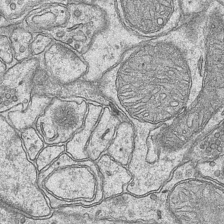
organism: Mouse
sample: CA1 Hippocampus